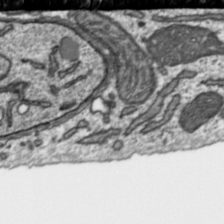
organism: Toxoplasma gondii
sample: Parasites in a vacuole inside a host cell